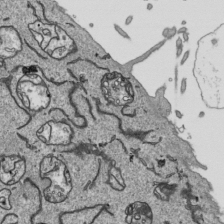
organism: Human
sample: Mitochondria in HCT116 cells